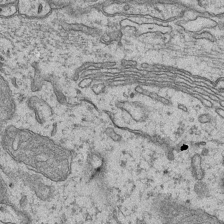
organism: Mouse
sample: CA1 Hippocampus